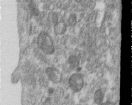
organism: Human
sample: Centriole in RPE cells